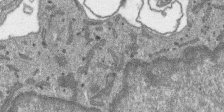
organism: Human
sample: Lung epithelial cells infected with SARS-CoV-2